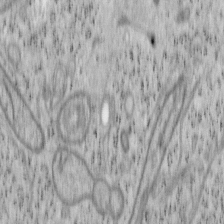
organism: Human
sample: HeLa cells